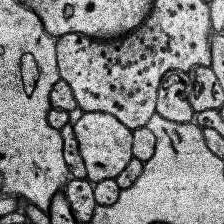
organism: Human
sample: Temporal Lobe